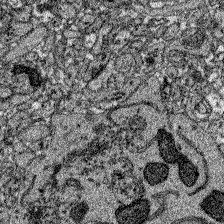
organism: Zebrafish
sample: Larval olfactory bulb